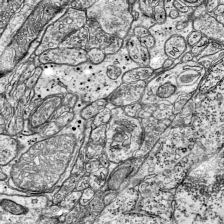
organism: Mouse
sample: Visual Cortex